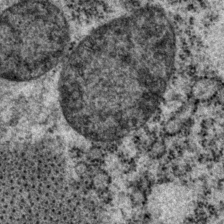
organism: P. pacificus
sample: Pharynx